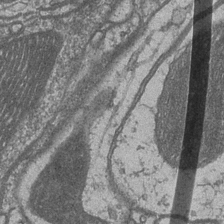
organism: Drosophila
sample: Optic medulla